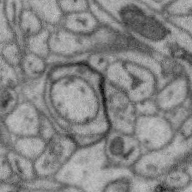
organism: Zebra finch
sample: Brain